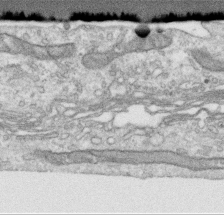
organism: Human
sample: Centriole in RPE cells